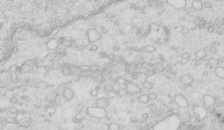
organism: Mouse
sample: Multiciliated cells